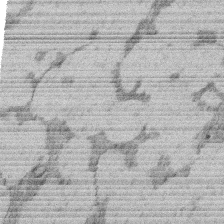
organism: Rat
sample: Salivary granule